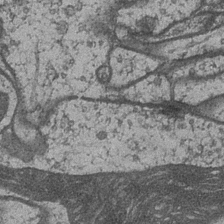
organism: Drosophila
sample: Optic medulla